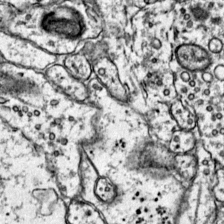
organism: Mouse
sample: Primary visual cortex